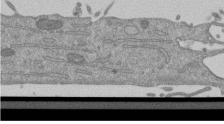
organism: Mouse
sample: ED-1 cell nuclei; centrioles